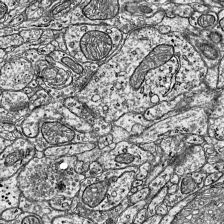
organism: Mouse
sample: Visual Cortex